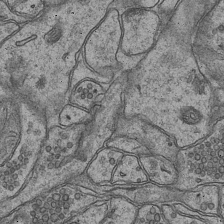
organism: Mouse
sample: CA1 Hippocampus